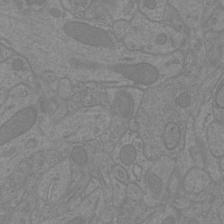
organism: Mouse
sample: Cortical neurons